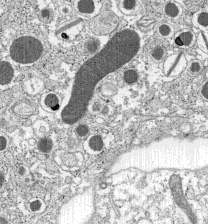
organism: C57BL Mouse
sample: Pancreatic islet